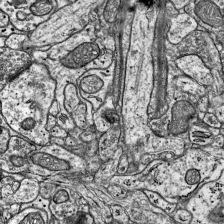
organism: Mouse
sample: Visual Cortex